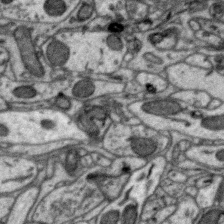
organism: Zebra finch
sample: Brain